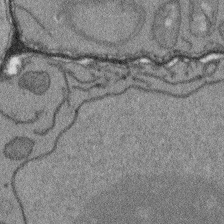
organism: Arabidopsis thaliana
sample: Root tip